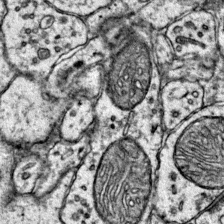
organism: Mouse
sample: Primary visual cortex